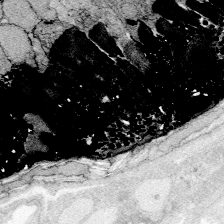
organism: Zebrafish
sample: Whole-Brain